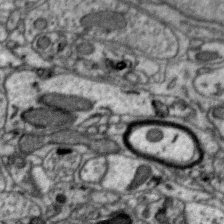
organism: Zebra finch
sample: Brain